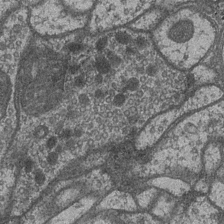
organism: Drosophila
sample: Optic medulla